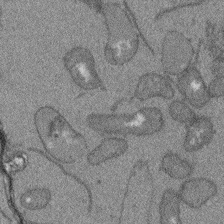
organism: Arabidopsis thaliana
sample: Root tip